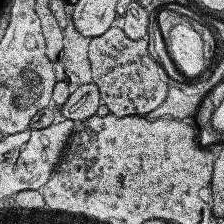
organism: Human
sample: Temporal Lobe